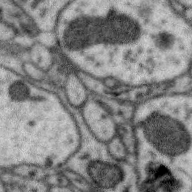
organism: Zebra finch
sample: Brain